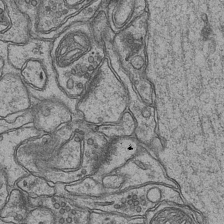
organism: Mouse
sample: CA1 Hippocampus